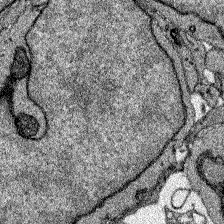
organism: Zebrafish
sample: Larval olfactory bulb